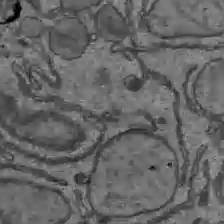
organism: C57BL Mouse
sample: Liver